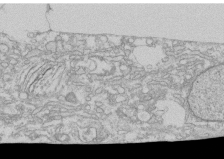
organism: Human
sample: CRL-1474